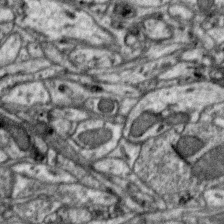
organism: Zebra finch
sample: Brain